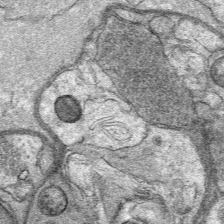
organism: Mouse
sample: Mouse Salivary gland